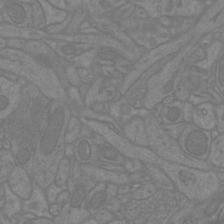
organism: Mouse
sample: Cortical neurons